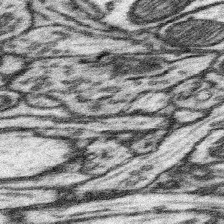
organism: Mouse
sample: Somatosensory cortex neuropil